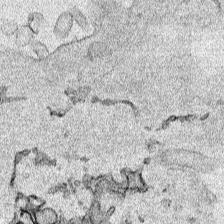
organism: Human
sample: Mitochondria in HCT116 cells